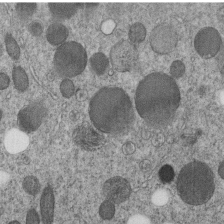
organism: C. elegans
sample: C. elegans embryo early stage